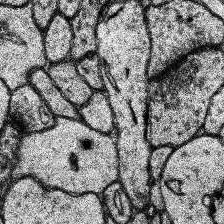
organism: Human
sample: Temporal Lobe